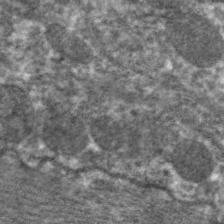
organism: C. elegans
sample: Pharynx